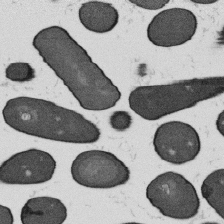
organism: B. subtilis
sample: Bacterial spore